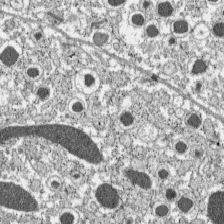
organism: C57BL Mouse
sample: Pancreatic islet